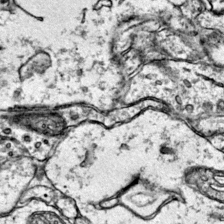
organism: Mouse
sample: Primary visual cortex